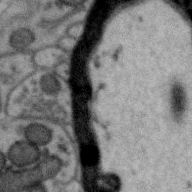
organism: Zebra finch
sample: Brain